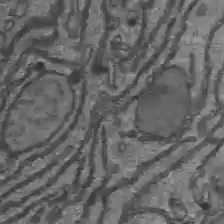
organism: C57BL Mouse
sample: Liver